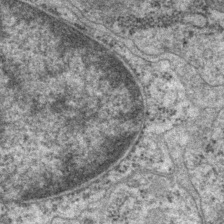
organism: P. pacificus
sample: Pharynx